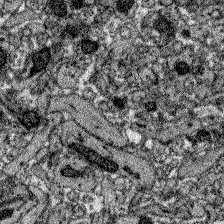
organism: Zebrafish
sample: Larval olfactory bulb